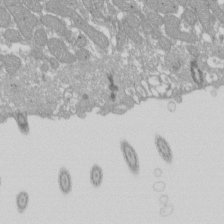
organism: Xenopus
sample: Cilia; centrioles in frog embryo cells